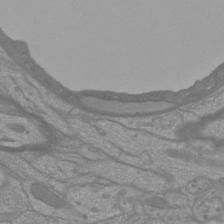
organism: Mouse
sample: Cortical neurons